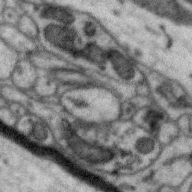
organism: Zebra finch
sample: Brain